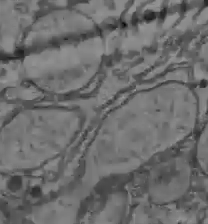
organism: C57BL Mouse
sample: Liver